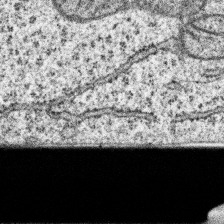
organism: Human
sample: HeLa cells